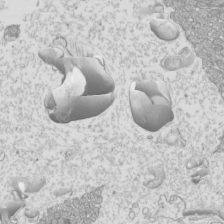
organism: Mouse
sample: Cilia; mouse epididymis